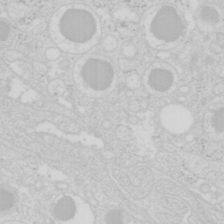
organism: Mouse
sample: Pancreas